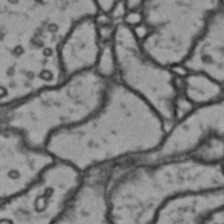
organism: Drosophila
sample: Brain